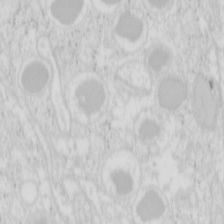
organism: Mouse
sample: Pancreas